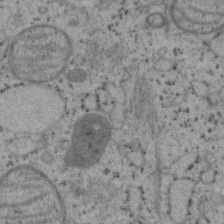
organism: Human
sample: HeLa cells